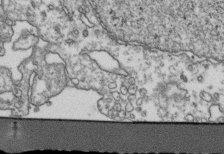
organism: Human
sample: Activated Jurkat CD4+ T cells